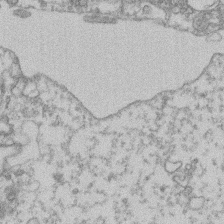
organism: Mouse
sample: T cell stromal cell synapse